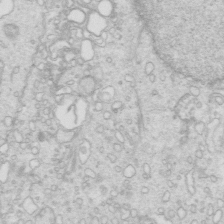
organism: Mouse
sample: Multiciliated cells